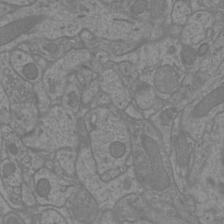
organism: Mouse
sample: Cortical neurons